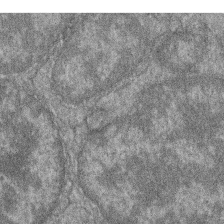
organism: Zebrafish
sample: Cilia; retinal pigment epithelium